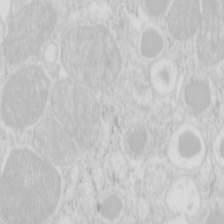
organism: Mouse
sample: Pancreas